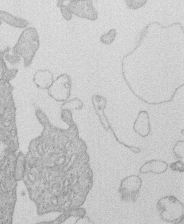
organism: Human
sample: Macrophage cells